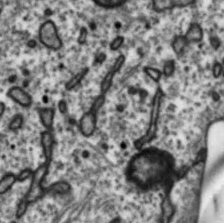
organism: Human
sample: HeLa cells